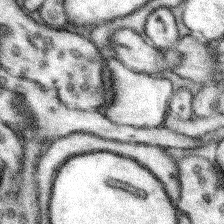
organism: Mouse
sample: Somatosensory cortex neuropil